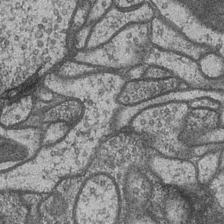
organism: Drosophila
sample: Optic medulla